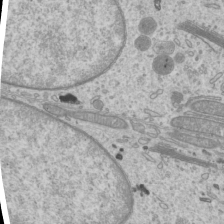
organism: Mouse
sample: Cilia; mouse epididymis